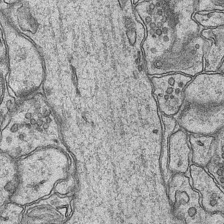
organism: Mouse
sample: CA1 Hippocampus